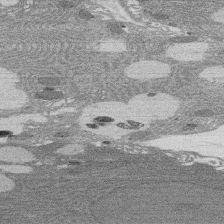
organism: Rat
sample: Salivary granule